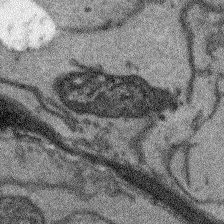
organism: Arabidopsis thaliana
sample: Root tip